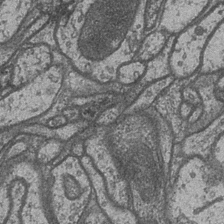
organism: Drosophila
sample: Optic medulla